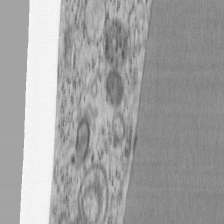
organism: Human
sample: HeLa cells